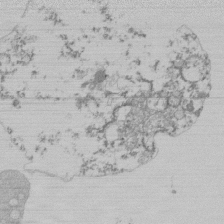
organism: Mouse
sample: Activated Pmel transgenic CD8+ T Cells